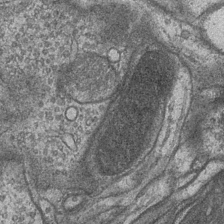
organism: Drosophila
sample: Optic medulla